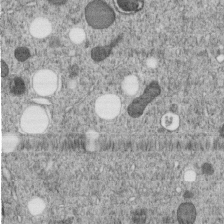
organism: C. elegans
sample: C. elegans embryo early stage